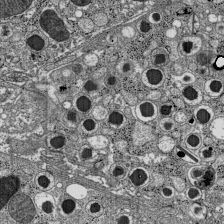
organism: C57BL Mouse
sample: Pancreatic islet